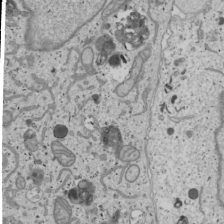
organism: Human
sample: Mitochondria in U2OS cells